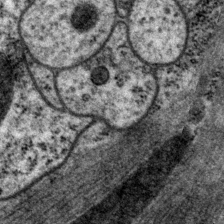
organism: P. pacificus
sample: Pharynx